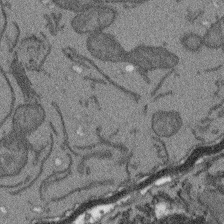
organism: Arabidopsis thaliana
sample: Root tip